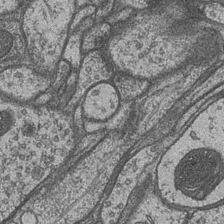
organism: Drosophila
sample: Optic medulla